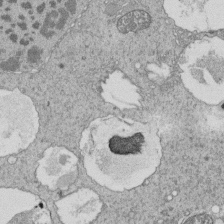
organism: Tetrahymena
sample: Cilia in tetrahymena